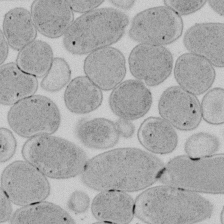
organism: E. coli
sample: Bacterial nucleoid